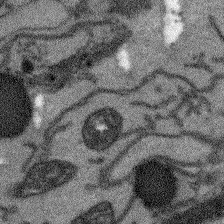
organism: Arabidopsis thaliana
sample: Root tip